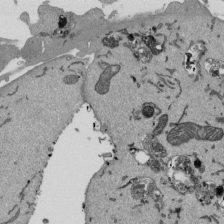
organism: Mouse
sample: ED-1 cell nuclei; centrioles